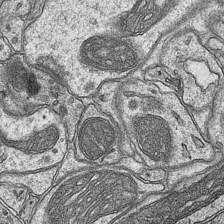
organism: Mouse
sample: CA1 Hippocampus